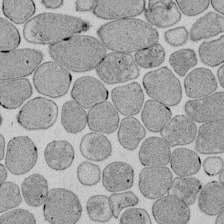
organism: E. coli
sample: Bacterial nucleoid